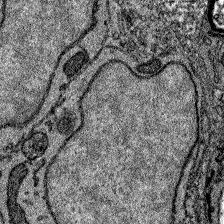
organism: Zebrafish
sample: Larval olfactory bulb